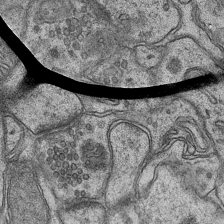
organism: Mouse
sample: CA1 Hippocampus